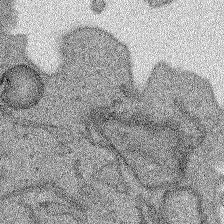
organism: Human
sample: HeLa cells